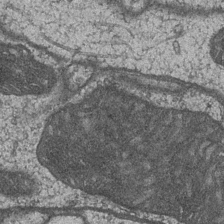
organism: Drosophila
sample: Optic medulla